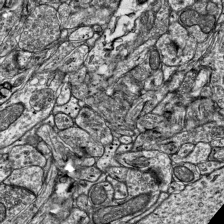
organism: Mouse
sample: Visual Cortex